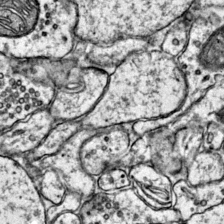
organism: Mouse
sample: Primary visual cortex